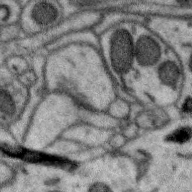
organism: Zebra finch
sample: Brain